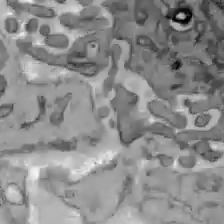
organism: C57BL Mouse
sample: Liver